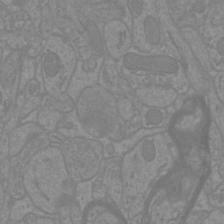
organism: Mouse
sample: Cortical neurons